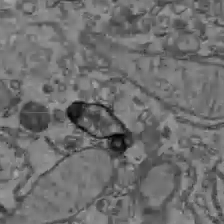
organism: C57BL Mouse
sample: Liver